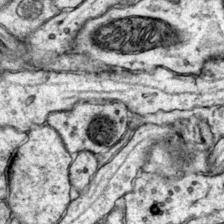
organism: Mouse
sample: Primary visual cortex